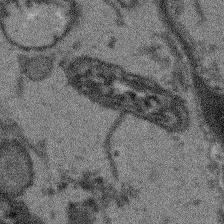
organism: Arabidopsis thaliana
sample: Root tip